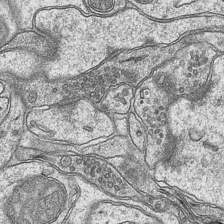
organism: Mouse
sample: CA1 Hippocampus